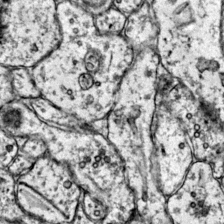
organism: Mouse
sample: Primary visual cortex